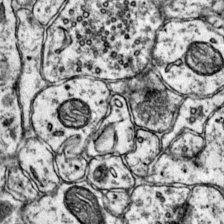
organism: Mouse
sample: Primary visual cortex